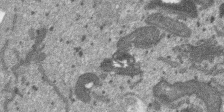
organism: Human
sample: Lung epithelial cells infected with SARS-CoV-2